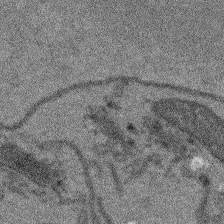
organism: Arabidopsis thaliana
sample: Root tip